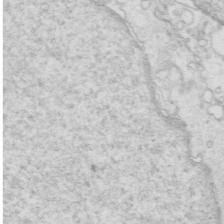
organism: Mouse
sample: Multiciliated cells